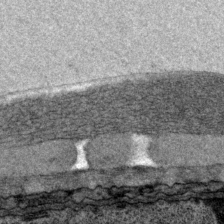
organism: P. pacificus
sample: Pharynx